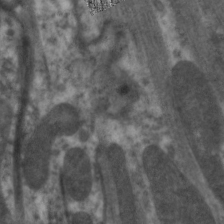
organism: C. elegans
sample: Pharynx